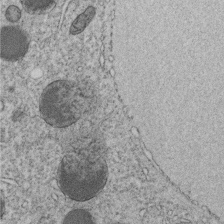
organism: C. elegans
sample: C. elegans embryo early stage